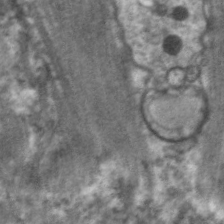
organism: C. elegans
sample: Pharynx